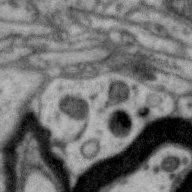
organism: Zebra finch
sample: Brain